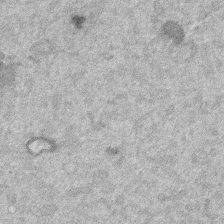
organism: Mouse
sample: Dividing mouse embryo 1 cell stage